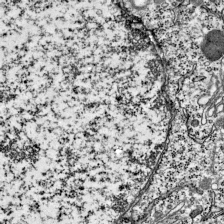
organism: Mouse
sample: Visual Cortex